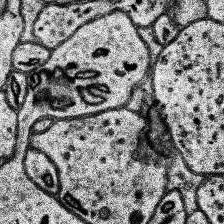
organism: Human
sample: Temporal Lobe